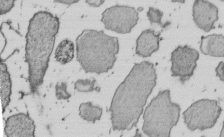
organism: E. coli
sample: Bacterial nucleoid